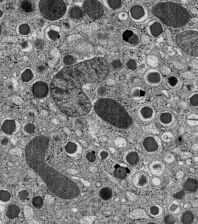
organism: C57BL Mouse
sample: Pancreatic islet